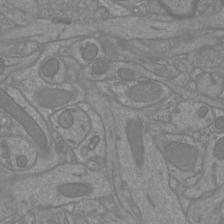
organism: Mouse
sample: Cortical neurons